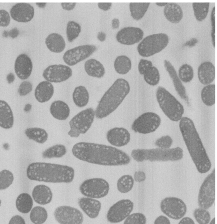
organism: E. coli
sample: Bacterial nucleoid